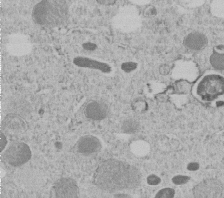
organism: C. elegans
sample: C. elegans embryo early stage